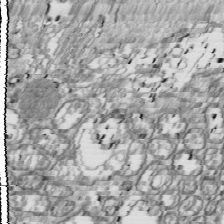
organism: Drosophila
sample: Cell division; meiosis; drosophila spermatocytes